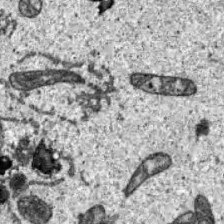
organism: Human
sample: HeLa cells